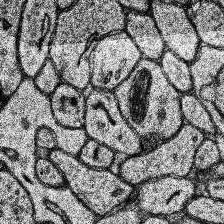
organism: Human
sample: Temporal Lobe